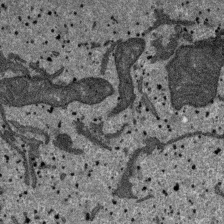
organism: Human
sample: Lung epithelial cells, uninfected (mock) control